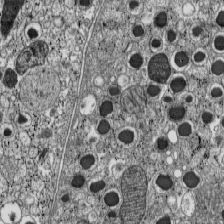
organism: C57BL Mouse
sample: Pancreatic islet